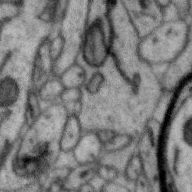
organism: Zebra finch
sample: Brain